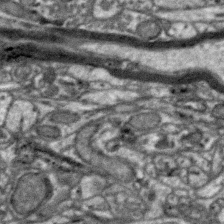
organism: Zebra finch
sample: Brain